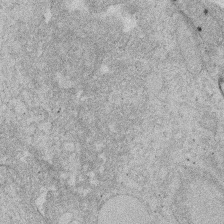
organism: Rat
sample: Salivary granule